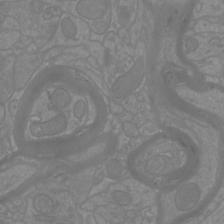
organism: Mouse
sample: Cortical neurons